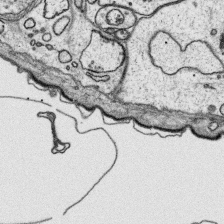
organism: Platynereis dumerilii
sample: Parapodia